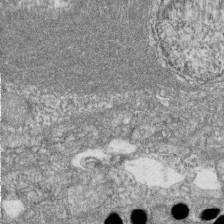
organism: Zebrafish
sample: Cilia; retinal pigment epithelium